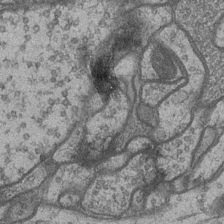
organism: Drosophila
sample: Optic medulla